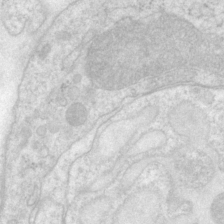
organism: P. pacificus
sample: Pharynx